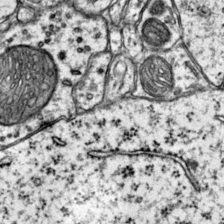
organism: Mouse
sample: Primary visual cortex